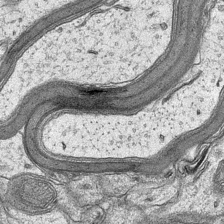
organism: Mouse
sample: CA1 Hippocampus